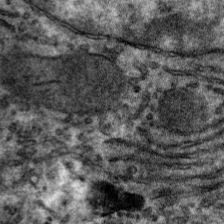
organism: Mouse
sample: Mouse hepatocytes